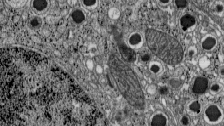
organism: C57BL Mouse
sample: Pancreatic islet